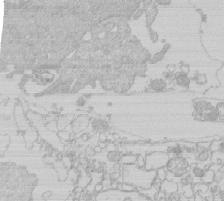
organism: Human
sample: Macrophage cells